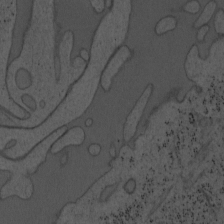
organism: Mouse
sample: OT-I killer T cells with ID8 ovarian cancer cells